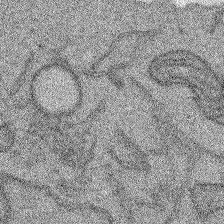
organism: Human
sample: HeLa cells